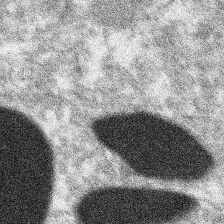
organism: Xenopus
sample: Cilia; centrioles in frog embryo cells